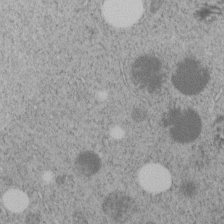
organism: C. elegans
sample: C. elegans embryo early stage